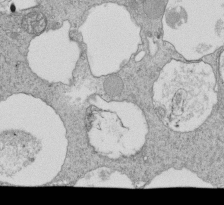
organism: Tetrahymena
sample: Cilia in tetrahymena